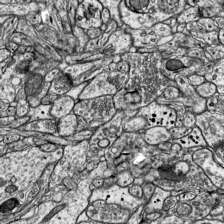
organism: Mouse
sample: Visual Cortex